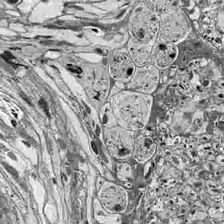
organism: Drosophila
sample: Optic lobe